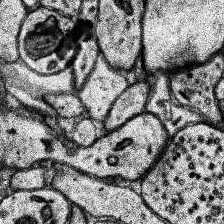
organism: Human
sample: Temporal Lobe